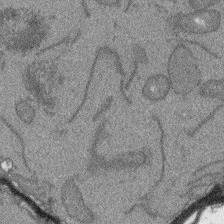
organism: Arabidopsis thaliana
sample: Root tip